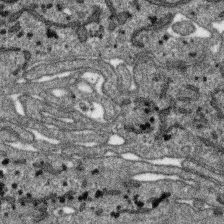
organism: Human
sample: Lung epithelial cells infected with SARS-CoV-2